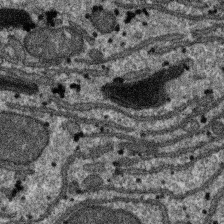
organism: Human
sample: Lung epithelial cells infected with SARS-CoV-2